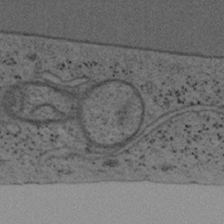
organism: Human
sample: HeLa cells